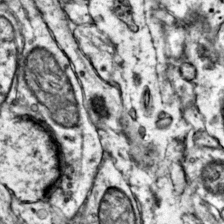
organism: Mouse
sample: Primary visual cortex